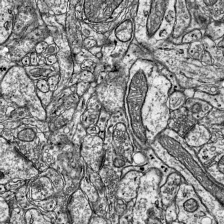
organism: Mouse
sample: Visual Cortex